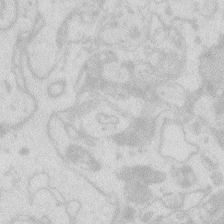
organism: Zebrafish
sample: Macrophage